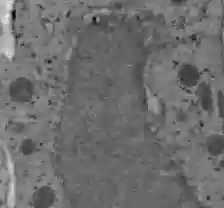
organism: C57BL Mouse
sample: Liver